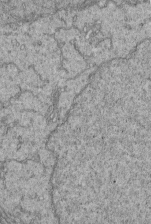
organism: Human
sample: Retinal organoid Rod and Cone cells